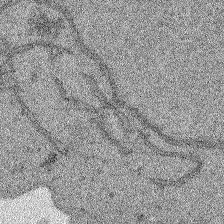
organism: Human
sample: HeLa cells